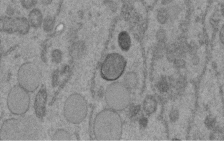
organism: C. elegans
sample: C. elegans embryo early stage